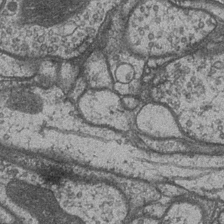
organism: Drosophila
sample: Optic medulla